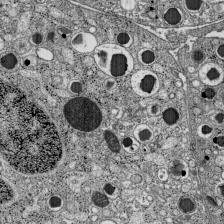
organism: C57BL Mouse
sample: Pancreatic islet